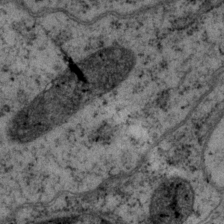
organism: P. pacificus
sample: Pharynx